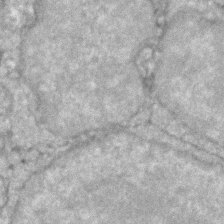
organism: Zebrafish